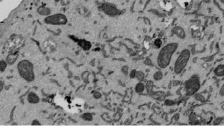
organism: Mouse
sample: ED-1 cell nuclei; centrioles